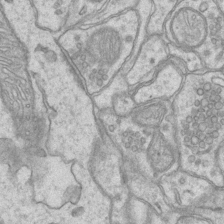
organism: Mouse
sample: CA1 Hippocampus